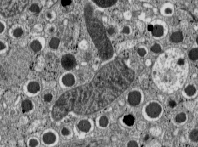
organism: C57BL Mouse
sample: Pancreatic islet